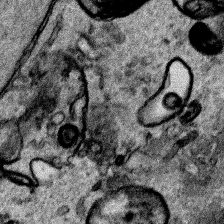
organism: Human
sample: Mitochondria in HCT116 cells